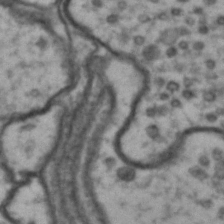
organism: Drosophila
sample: Brain